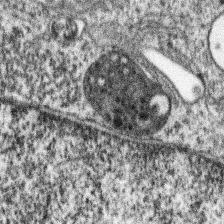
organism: Human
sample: HeLa cells